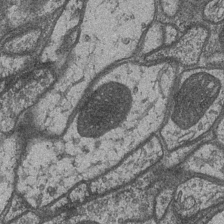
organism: Drosophila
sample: Optic medulla